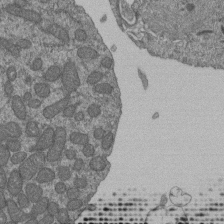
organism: Human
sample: Retinal organoid Rod and Cone cells